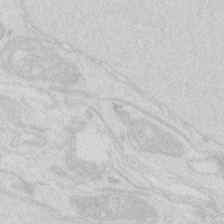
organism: Zebrafish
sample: Macrophage